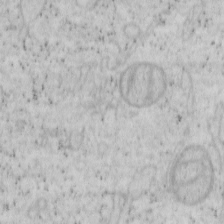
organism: Human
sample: HeLa cells